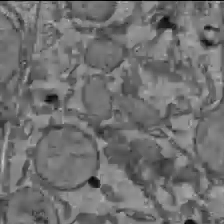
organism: C57BL Mouse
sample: Liver